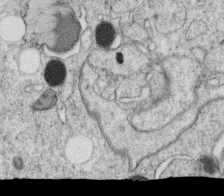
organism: C. elegans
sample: C. elegans oocyte; sperm cells